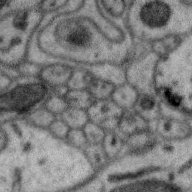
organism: Zebra finch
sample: Brain